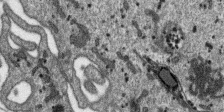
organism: Human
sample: Lung epithelial cells infected with SARS-CoV-2